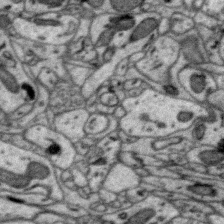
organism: Zebra finch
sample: Brain